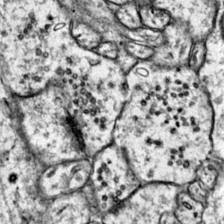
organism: Mouse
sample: Primary visual cortex